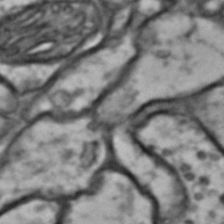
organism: Drosophila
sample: Brain